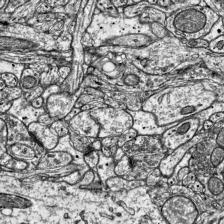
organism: Mouse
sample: Visual Cortex